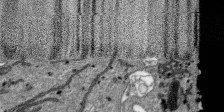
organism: Human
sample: Lung epithelial cells, uninfected (mock) control